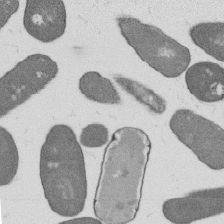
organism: B. subtilis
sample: Bacterial spore